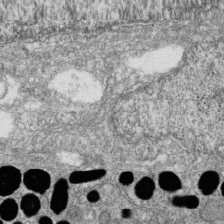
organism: Zebrafish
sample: Cilia; retinal pigment epithelium